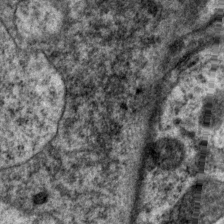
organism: P. pacificus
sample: Pharynx